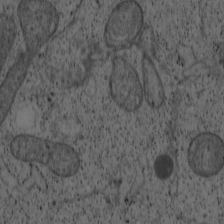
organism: African green monkey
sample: COS-7 cells